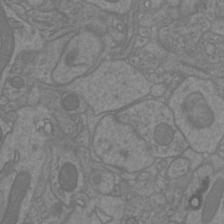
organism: Mouse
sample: Cortical neurons